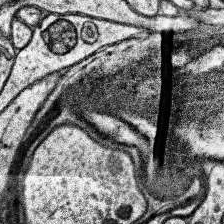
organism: Human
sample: Temporal Lobe